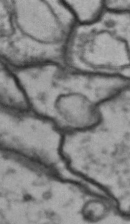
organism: Drosophila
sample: Brain